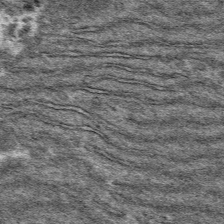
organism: Mouse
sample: Mouse hepatocytes